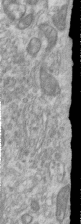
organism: Human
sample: Centriole in RPE cells